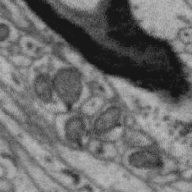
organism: Zebra finch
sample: Brain